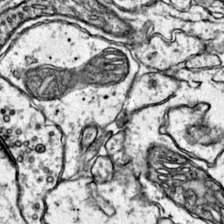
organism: Mouse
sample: Primary visual cortex